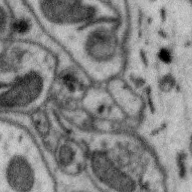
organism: Zebra finch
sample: Brain